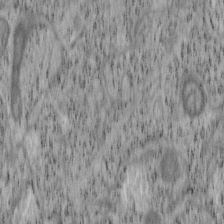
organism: Human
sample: HeLa cells